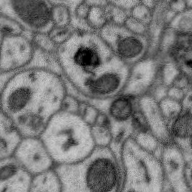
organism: Zebra finch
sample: Brain